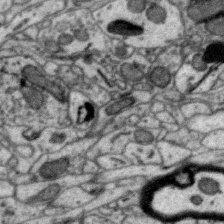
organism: Zebra finch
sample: Brain